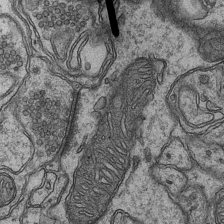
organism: Mouse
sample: CA1 Hippocampus